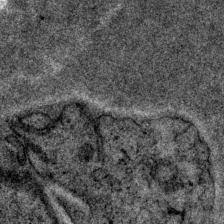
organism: P. pacificus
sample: Pharynx